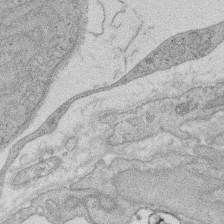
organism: Rat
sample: Salivary granule